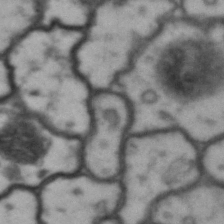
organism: Drosophila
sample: Brain